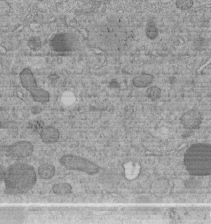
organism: C. elegans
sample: C. elegans embryo early stage